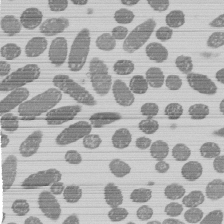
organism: E. coli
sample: Bacterial nucleoid